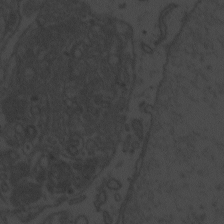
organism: Zebrafish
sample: Macrophage infected with Toxoplasma gondii